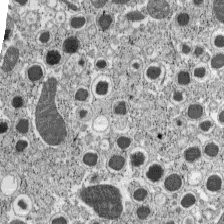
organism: C57BL Mouse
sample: Pancreatic islet